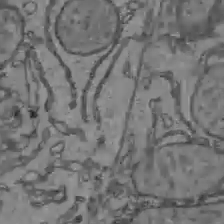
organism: C57BL Mouse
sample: Liver